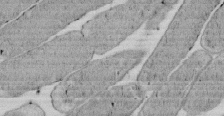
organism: E. coli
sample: Bacterial nucleoid